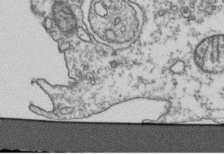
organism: Human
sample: Activated Jurkat CD4+ T cells